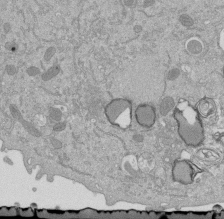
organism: Mouse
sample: ED-1 cell nuclei; centrioles